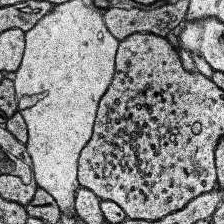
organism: Human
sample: Temporal Lobe